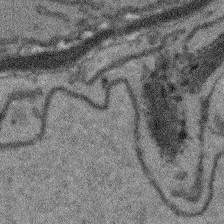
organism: Arabidopsis thaliana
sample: Root tip